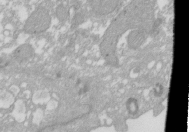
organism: Xenopus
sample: Cilia; centrioles in frog embryo cells